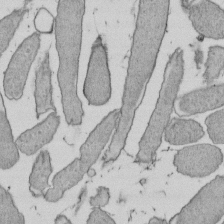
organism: E. coli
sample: Bacterial nucleoid